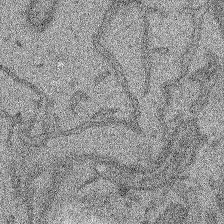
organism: Human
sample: HeLa cells